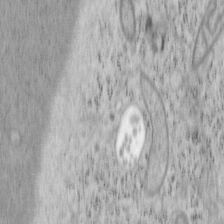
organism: Human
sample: HeLa cells